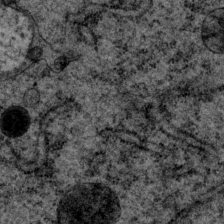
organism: P. pacificus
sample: Pharynx